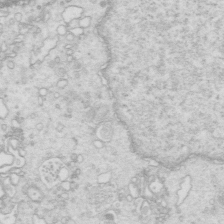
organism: Mouse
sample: Multiciliated cells